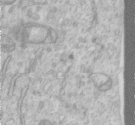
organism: Human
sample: Centriole in RPE cells